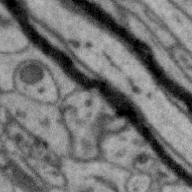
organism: Zebra finch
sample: Brain